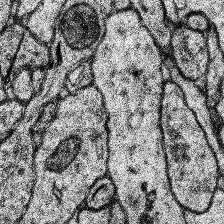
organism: Human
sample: Temporal Lobe